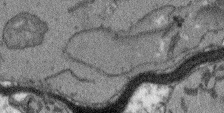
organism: Arabidopsis thaliana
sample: Root tip